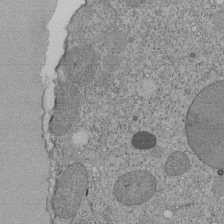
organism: Tetrahymena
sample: Cilia in tetrahymena